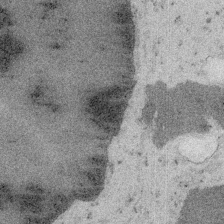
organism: Embia sp.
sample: Silk gland